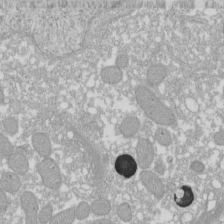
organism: Xenopus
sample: Cilia; centrioles in frog embryo cells